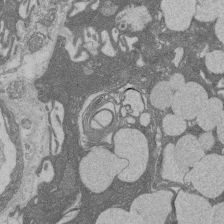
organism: Rat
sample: Salivary granule